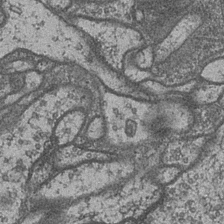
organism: Drosophila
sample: Optic medulla